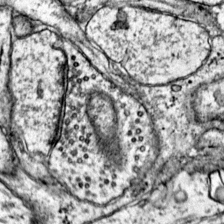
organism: Mouse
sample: Primary visual cortex